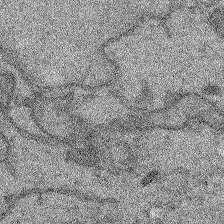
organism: Human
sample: HeLa cells